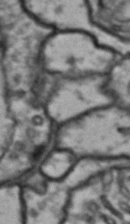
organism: Drosophila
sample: Brain